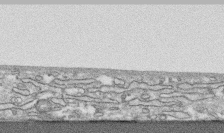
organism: Human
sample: CRL-1474